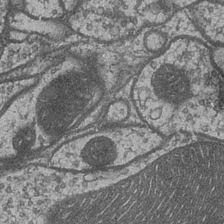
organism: Drosophila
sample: Optic medulla